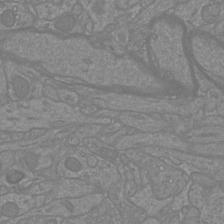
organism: Mouse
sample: Cortical neurons